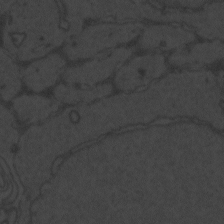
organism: Zebrafish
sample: Macrophage infected with Toxoplasma gondii